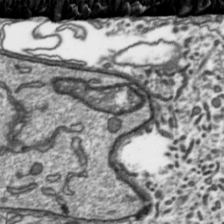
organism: Toxoplasma gondii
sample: Parasites in a vacuole inside a host cell